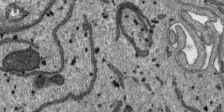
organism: Human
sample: Lung epithelial cells, uninfected (mock) control